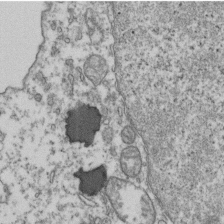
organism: Human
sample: Activated Jurkat CD4+ T cells